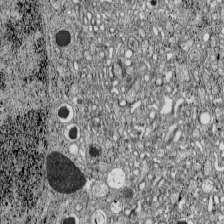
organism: C57BL Mouse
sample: Pancreatic islet